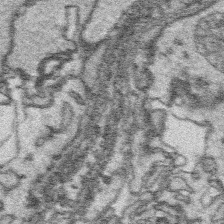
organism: Platynereis dumerilii